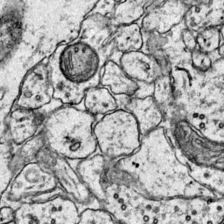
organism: Mouse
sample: Primary visual cortex